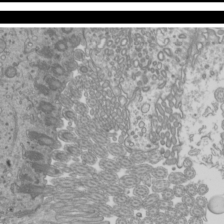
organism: Mouse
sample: Cilia; mouse epididymis